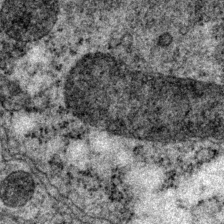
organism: P. pacificus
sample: Pharynx